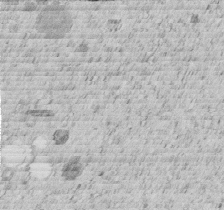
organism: C. elegans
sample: C. elegans embryo early stage